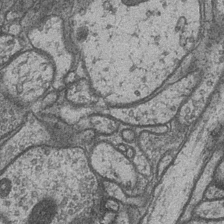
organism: Drosophila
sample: Optic medulla